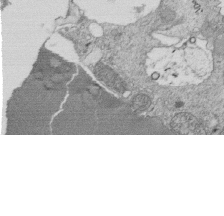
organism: Tetrahymena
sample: Cilia in tetrahymena